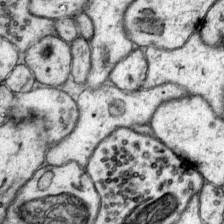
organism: Mouse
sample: Primary visual cortex